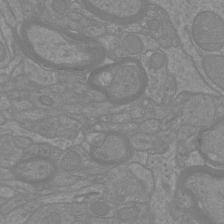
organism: Mouse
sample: Cortical neurons